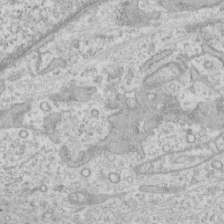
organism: Human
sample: CRL-1474